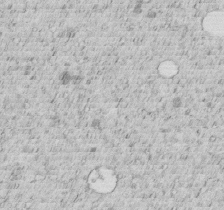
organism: C. elegans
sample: C. elegans embryo early stage